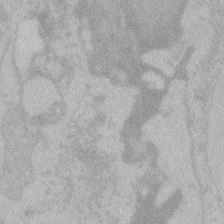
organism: Zebrafish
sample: Macrophage infected with Toxoplasma gondii